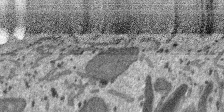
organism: Human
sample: Lung epithelial cells infected with SARS-CoV-2